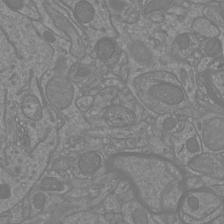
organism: Mouse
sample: Cortical neurons